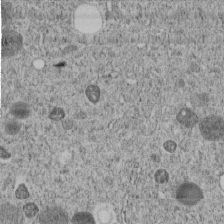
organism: C. elegans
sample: C. elegans embryo early stage